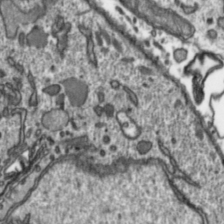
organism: Toxoplasma gondii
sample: Parasites in a vacuole inside a host cell